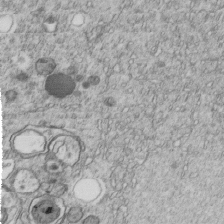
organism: C. elegans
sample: C. elegans embryo early stage